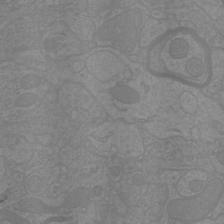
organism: Mouse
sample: Cortical neurons